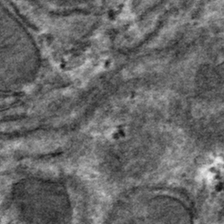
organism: Mouse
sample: Mouse hepatocytes